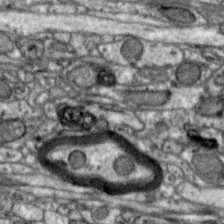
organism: Zebra finch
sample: Brain